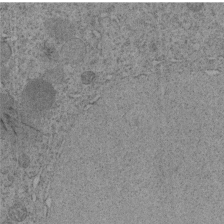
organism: C. elegans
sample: C. elegans embryo early stage